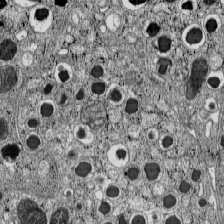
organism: C57BL Mouse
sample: Pancreatic islet